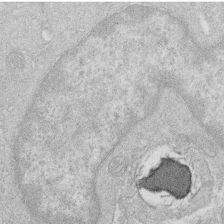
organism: Human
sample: Macrophage cells